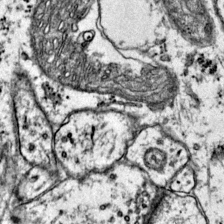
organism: Mouse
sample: Primary visual cortex